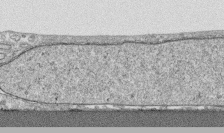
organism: Human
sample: CRL-1474